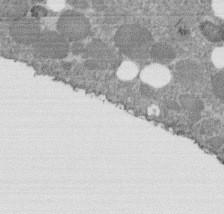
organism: C. elegans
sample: C. elegans embryo early stage